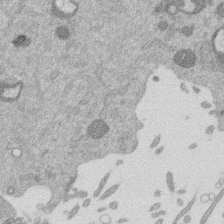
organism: Mouse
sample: Dividing mouse embryo 1 cell stage